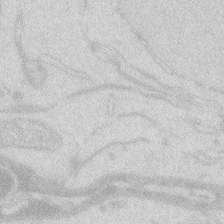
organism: Zebrafish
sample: Macrophage